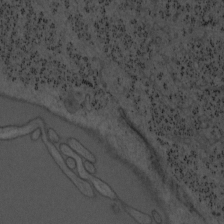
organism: Mouse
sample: OT-I killer T cells with ID8 ovarian cancer cells